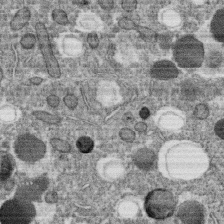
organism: C. elegans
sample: C. elegans oocyte; sperm cells